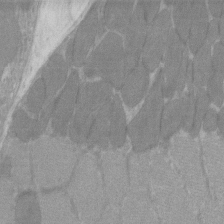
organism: C57BL Mouse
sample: Tibialis anterior muscle cell